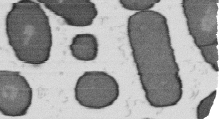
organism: B. subtilis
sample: Bacterial spore